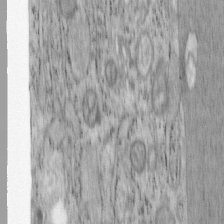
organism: Human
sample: HeLa cells